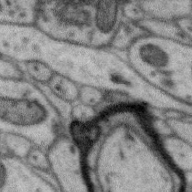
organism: Zebra finch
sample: Brain